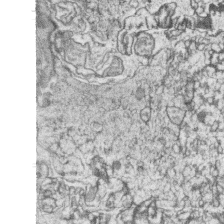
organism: Zebrafish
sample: synaptic ribbons in rod cells and cone cells